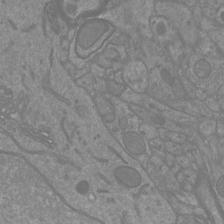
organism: Mouse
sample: Cortical neurons